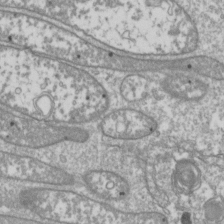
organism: Drosophila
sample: Cell division; meiosis; drosophila spermatocytes